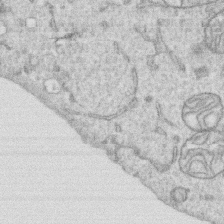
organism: Human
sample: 1205lu cells